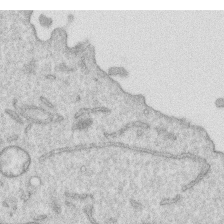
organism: Human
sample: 1205lu cells